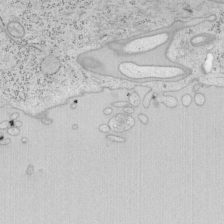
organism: Mouse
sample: OT-I killer T cells with ID8 ovarian cancer cells